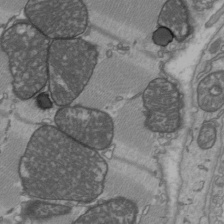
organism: C57BL Mouse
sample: Heart